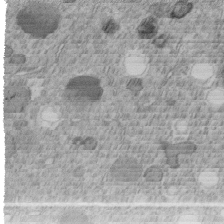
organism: C. elegans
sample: C. elegans embryo early stage